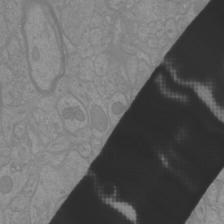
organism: Mouse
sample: Cortical neurons